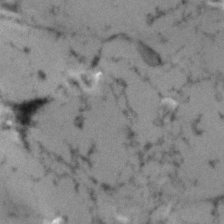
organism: Human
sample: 1205lu cells